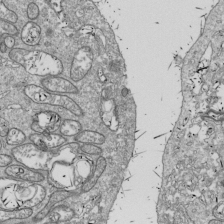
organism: Drosophila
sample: Cell division; meiosis; drosophila spermatocytes